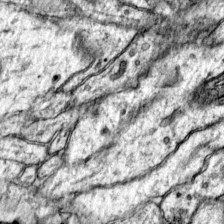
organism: Mouse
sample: Primary visual cortex